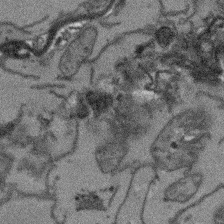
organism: Arabidopsis thaliana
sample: Root tip